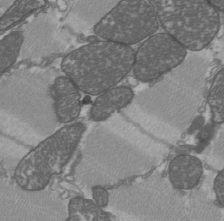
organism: C57BL Mouse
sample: Heart